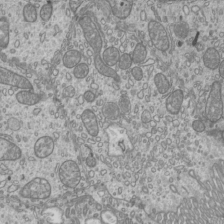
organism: Mouse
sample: Cilia; mouse epididymis